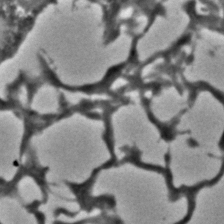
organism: C. elegans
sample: C. elegans embryo